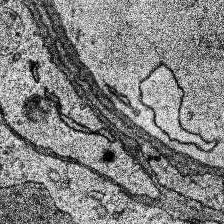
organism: Human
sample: Temporal Lobe